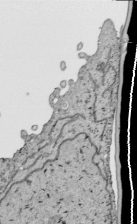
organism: Human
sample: Mitochondria in HCT116 cells